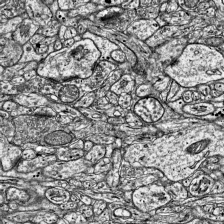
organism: Mouse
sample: Visual Cortex